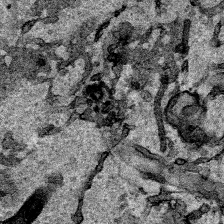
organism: Human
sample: Mitochondria in HCT116 cells